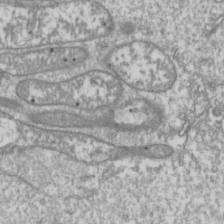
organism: Drosophila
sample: Cell division; meiosis; drosophila spermatocytes